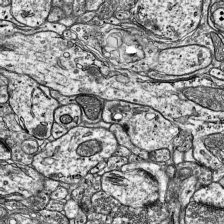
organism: Mouse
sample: Visual Cortex